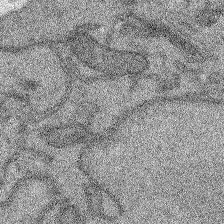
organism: Human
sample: HeLa cells